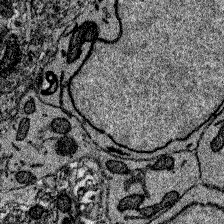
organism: Zebrafish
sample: Larval olfactory bulb